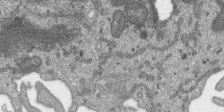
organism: Human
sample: Lung epithelial cells infected with SARS-CoV-2